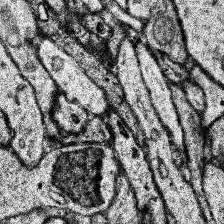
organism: Human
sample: Temporal Lobe